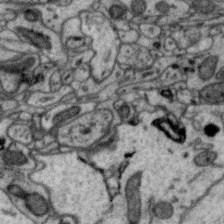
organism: Zebra finch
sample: Brain